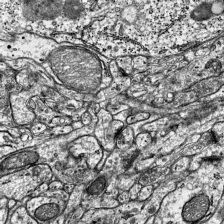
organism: Mouse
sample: Visual Cortex